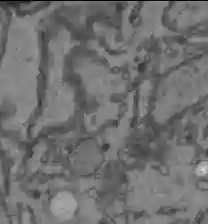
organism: C57BL Mouse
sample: Liver